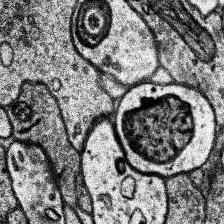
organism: Human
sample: Temporal Lobe